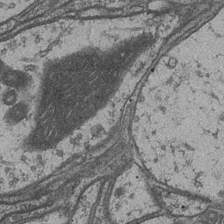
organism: Drosophila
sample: Optic medulla